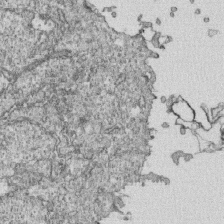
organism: Human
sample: HeLa cell HIV synapse